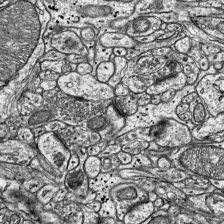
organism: Mouse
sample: Visual Cortex